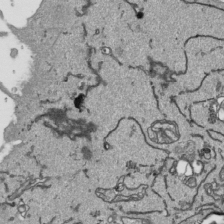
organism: Human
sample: Mitochondria in HCT116 cells